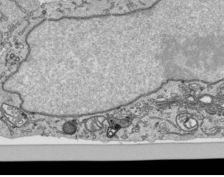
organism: Human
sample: Mitochondria in HCT116 cells